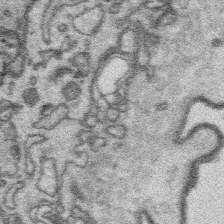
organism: Platynereis dumerilii